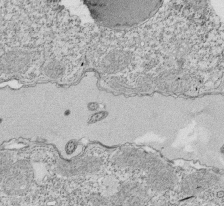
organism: Tetrahymena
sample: Cilia in tetrahymena